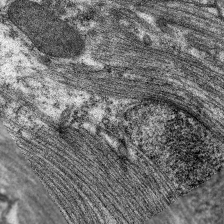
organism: C. elegans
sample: Pharynx